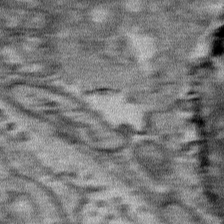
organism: Mouse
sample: Mouse Salivary gland